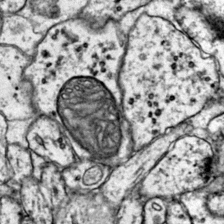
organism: Mouse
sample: Primary visual cortex